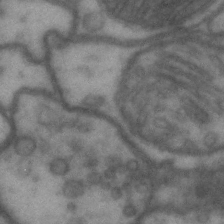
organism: Drosophila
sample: Brain